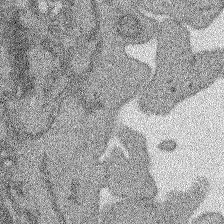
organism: Human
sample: HeLa cells